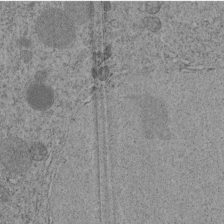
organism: C. elegans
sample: C. elegans embryo early stage